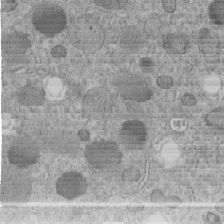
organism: C. elegans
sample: C. elegans embryo early stage